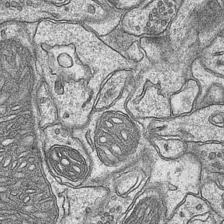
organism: Mouse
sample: CA1 Hippocampus